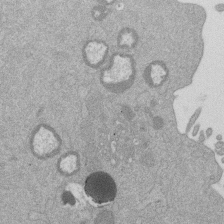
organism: Mouse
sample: Dividing mouse embryo 1 cell stage